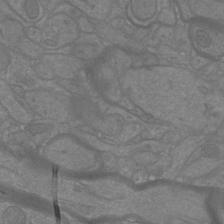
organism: Mouse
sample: Cortical neurons